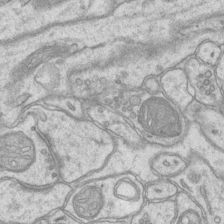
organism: Mouse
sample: CA1 Hippocampus